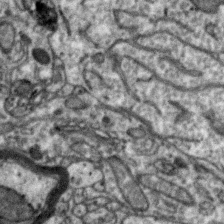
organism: Zebra finch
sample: Brain